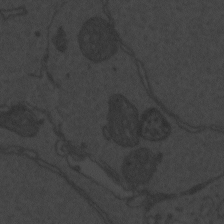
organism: Zebrafish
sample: Macrophage infected with Toxoplasma gondii